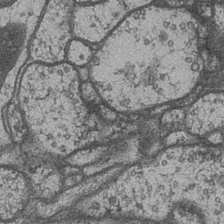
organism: Drosophila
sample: Optic medulla